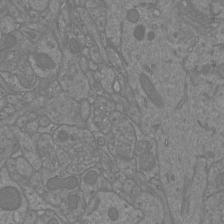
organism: Mouse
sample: Cortical neurons